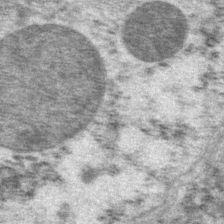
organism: P. pacificus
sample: Pharynx